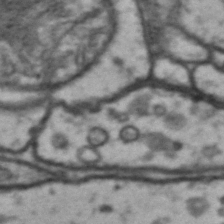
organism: Drosophila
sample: Brain